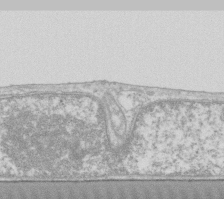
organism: Human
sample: Fibroblast cells